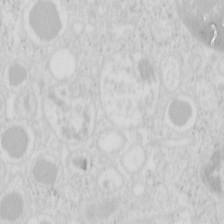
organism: Mouse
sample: Pancreas